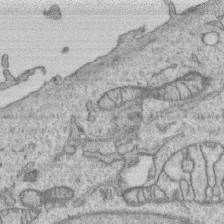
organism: Human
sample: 1205lu cells